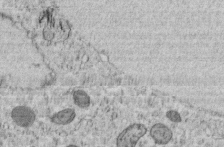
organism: C. elegans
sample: C. elegans embryo early stage